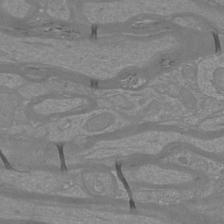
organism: Mouse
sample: Cortical neurons